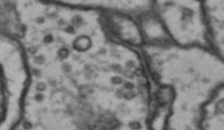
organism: Drosophila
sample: Brain